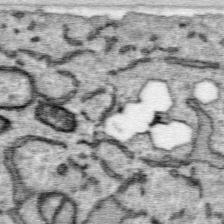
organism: Human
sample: HeLa cells